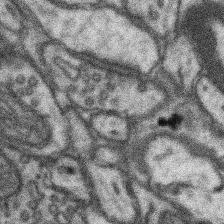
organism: Mouse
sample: Somatosensory cortex neuropil